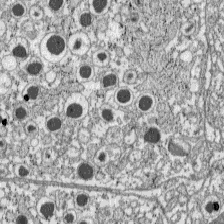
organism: C57BL Mouse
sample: Pancreatic islet